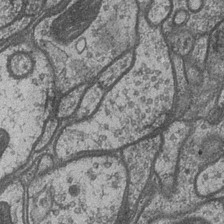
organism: Drosophila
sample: Optic medulla